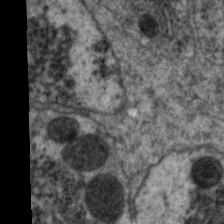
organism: C. elegans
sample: Pharynx